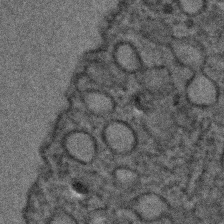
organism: C. elegans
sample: C. elegans embryo